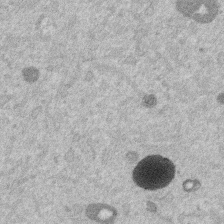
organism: Mouse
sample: Dividing mouse embryo 1 cell stage